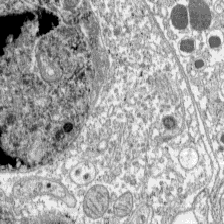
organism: C57BL Mouse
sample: Pancreatic islet